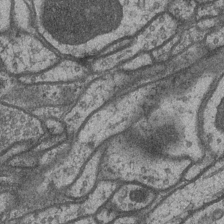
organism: Drosophila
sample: Optic medulla